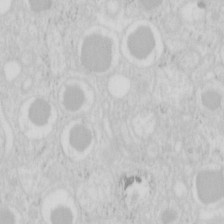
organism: Mouse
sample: Pancreas